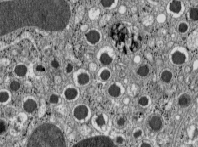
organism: C57BL Mouse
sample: Pancreatic islet